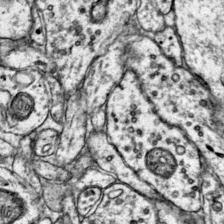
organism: Mouse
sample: Primary visual cortex